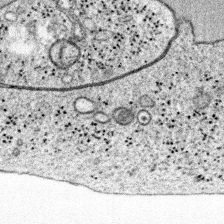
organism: Human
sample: HeLa cells